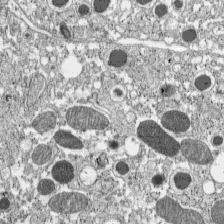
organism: C57BL Mouse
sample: Pancreatic islet